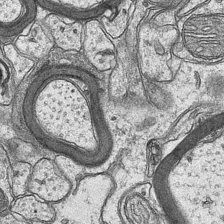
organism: Mouse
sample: CA1 Hippocampus